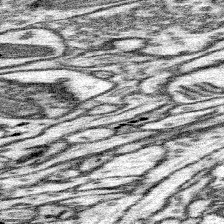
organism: Mouse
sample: Somatosensory cortex neuropil